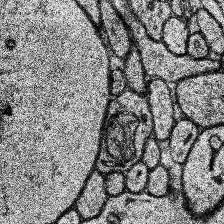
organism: Human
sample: Temporal Lobe